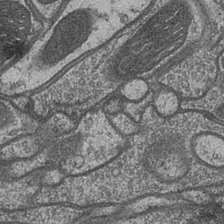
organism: Drosophila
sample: Optic medulla